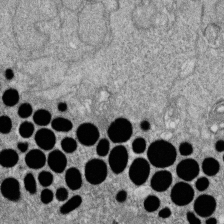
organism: Zebrafish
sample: Cilia; retinal pigment epithelium